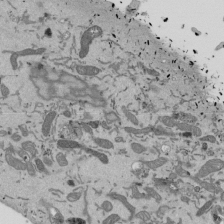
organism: Mouse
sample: ED-1 cell nuclei; centrioles